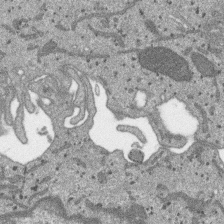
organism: Human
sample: Lung epithelial cells infected with SARS-CoV-2